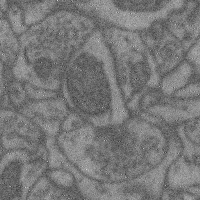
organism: Mouse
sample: Cerebral cortex